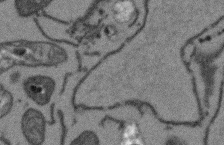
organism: Arabidopsis thaliana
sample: Root tip